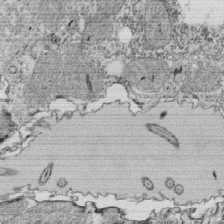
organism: Tetrahymena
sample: Cilia in tetrahymena